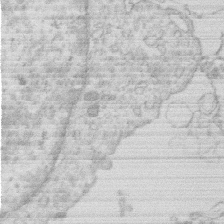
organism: Human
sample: Macrophage cells